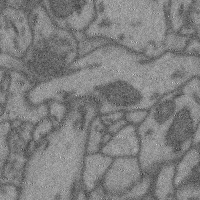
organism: Mouse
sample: Cerebral cortex